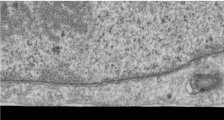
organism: Human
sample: Centriole in RPE cells